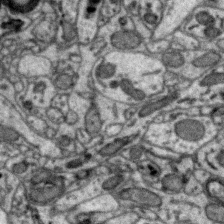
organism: Zebra finch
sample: Brain